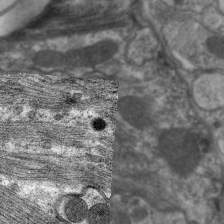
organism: C. elegans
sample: Pharynx